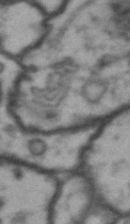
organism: Drosophila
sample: Brain